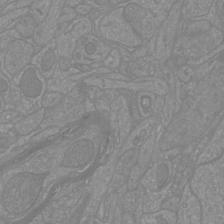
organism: Mouse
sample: Cortical neurons